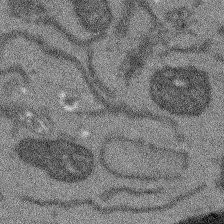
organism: Arabidopsis thaliana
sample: Root tip